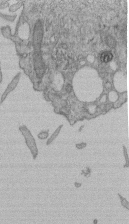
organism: Human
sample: Retinal organoid Rod and Cone cells